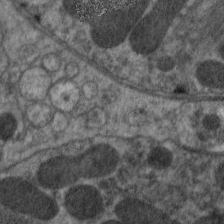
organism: C. elegans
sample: Pharynx